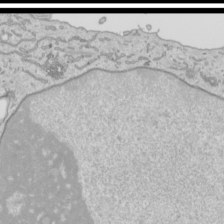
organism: Human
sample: Mitochondria in HCT116 cells